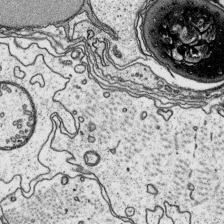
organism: Platynereis dumerilii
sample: Parapodia